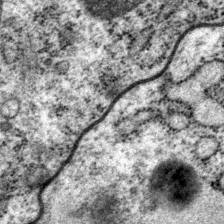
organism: P. pacificus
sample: Pharynx